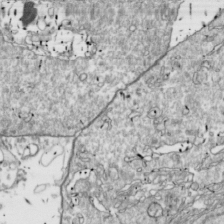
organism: Drosophila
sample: Cell division; meiosis; drosophila spermatocytes